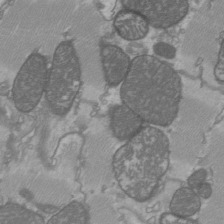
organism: C57BL Mouse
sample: Heart